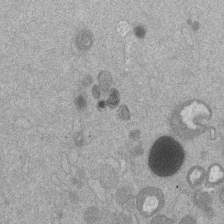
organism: Mouse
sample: Dividing mouse embryo 1 cell stage